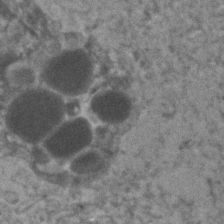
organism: Human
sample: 1205lu cells